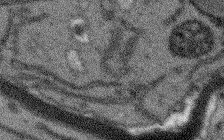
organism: Arabidopsis thaliana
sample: Root tip